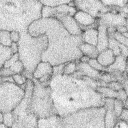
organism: Rabbit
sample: Retina